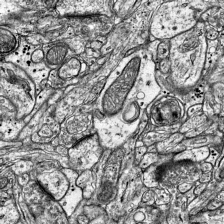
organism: Mouse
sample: Visual Cortex